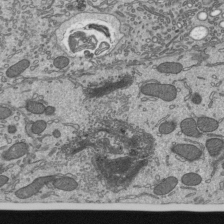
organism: Mouse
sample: Mouse epididymis efferent ductule cilia